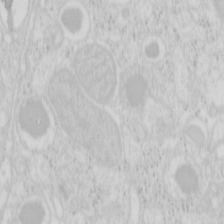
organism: Mouse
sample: Pancreas